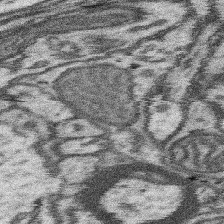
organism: Mouse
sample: Somatosensory cortex neuropil